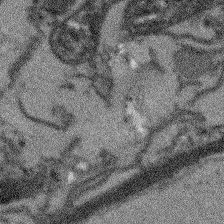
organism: Arabidopsis thaliana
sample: Root tip